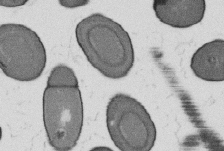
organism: B. subtilis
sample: Bacterial spore